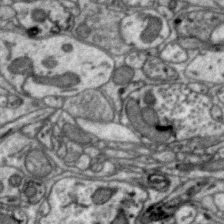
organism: Zebra finch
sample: Brain